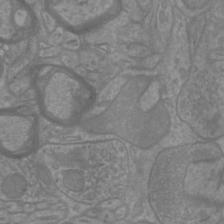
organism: Mouse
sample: Cortical neurons